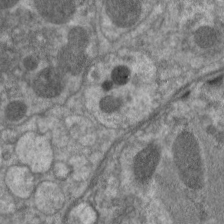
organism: C. elegans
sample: Pharynx